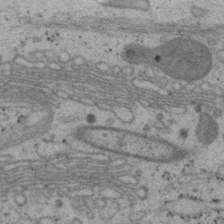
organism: Human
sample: HeLa cells